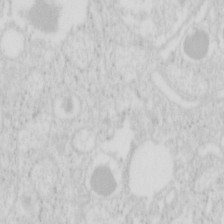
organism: Mouse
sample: Pancreas